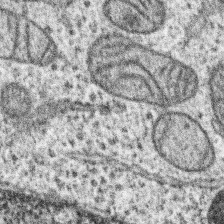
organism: Human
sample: HeLa cells